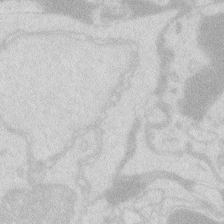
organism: Zebrafish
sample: Macrophage